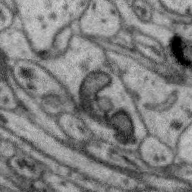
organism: Zebra finch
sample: Brain